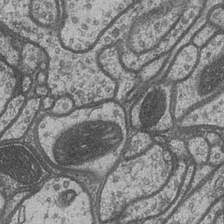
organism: Drosophila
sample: Optic medulla